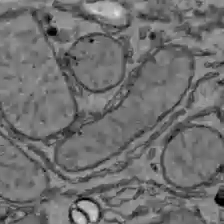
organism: C57BL Mouse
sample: Liver